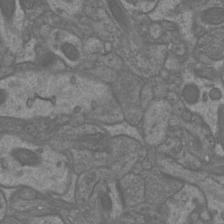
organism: Mouse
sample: Cortical neurons